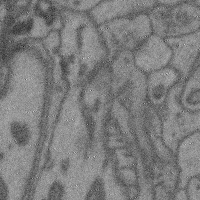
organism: Mouse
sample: Cerebral cortex